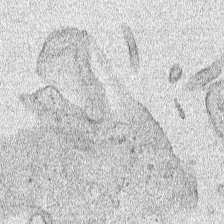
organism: Human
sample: Mitochondria in HCT116 cells